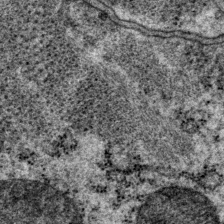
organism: P. pacificus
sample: Pharynx